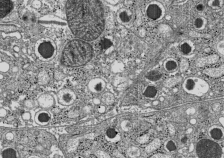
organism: C57BL Mouse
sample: Pancreatic islet